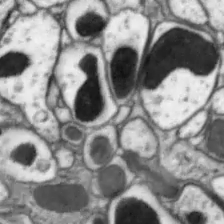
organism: Drosophila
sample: Optic lobe